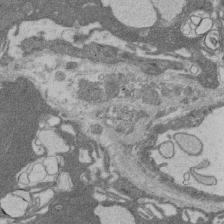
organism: Rat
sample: Salivary granule